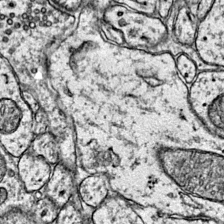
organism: Mouse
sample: Primary visual cortex